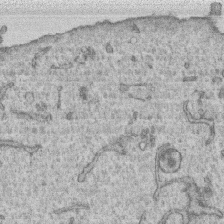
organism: Human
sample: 1205lu cells